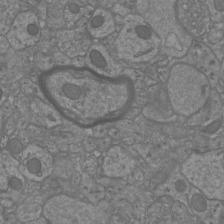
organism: Mouse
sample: Cortical neurons